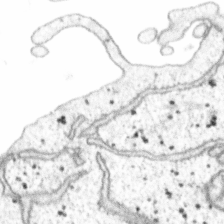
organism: Human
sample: HeLa cells